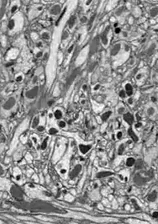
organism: Drosophila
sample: Optic lobe